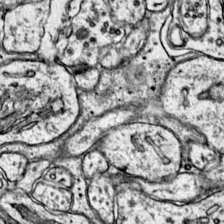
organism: Mouse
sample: Primary visual cortex